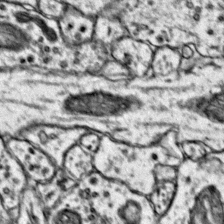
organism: Mouse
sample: Primary visual cortex